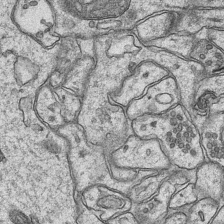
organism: Mouse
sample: CA1 Hippocampus